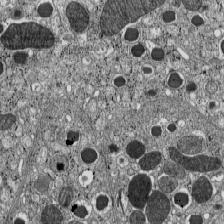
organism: C57BL Mouse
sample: Pancreatic islet